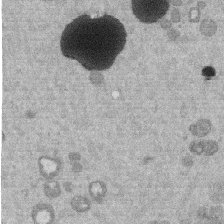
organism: Mouse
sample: Dividing mouse embryo 1 cell stage